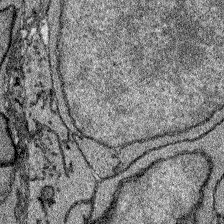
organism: Zebrafish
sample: Larval olfactory bulb